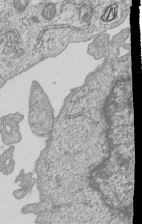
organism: Human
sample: MDA-MB-231 cells